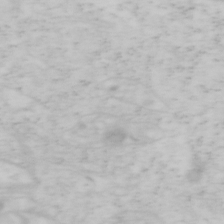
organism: Mouse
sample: OT-I killer T cells with ID8 ovarian cancer cells